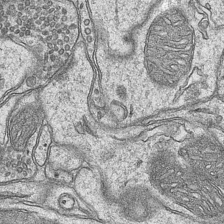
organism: Mouse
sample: CA1 Hippocampus